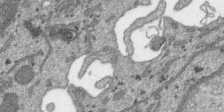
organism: Human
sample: Lung epithelial cells infected with SARS-CoV-2